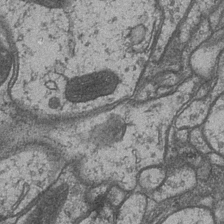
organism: Drosophila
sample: Optic medulla